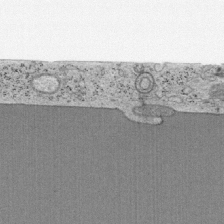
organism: Human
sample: HeLa cells